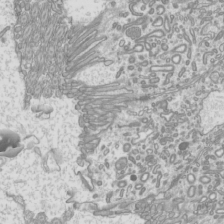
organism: Mouse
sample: Cilia; mouse epididymis